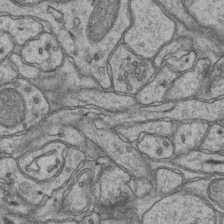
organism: Mouse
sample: CA1 Hippocampus